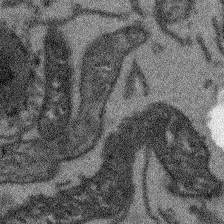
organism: Arabidopsis thaliana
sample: Root tip